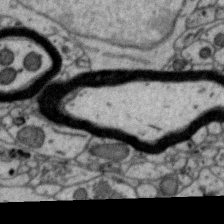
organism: Zebra finch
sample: Brain